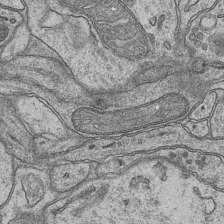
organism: Mouse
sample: CA1 Hippocampus